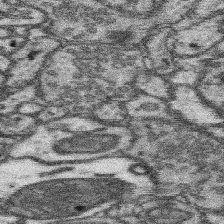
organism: Mouse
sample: Somatosensory cortex neuropil